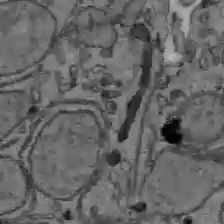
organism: C57BL Mouse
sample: Liver